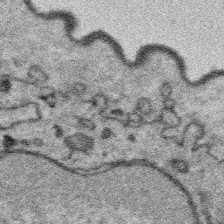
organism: Platynereis dumerilii